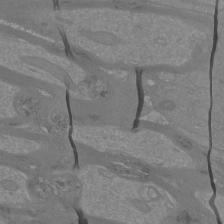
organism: Mouse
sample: Cortical neurons